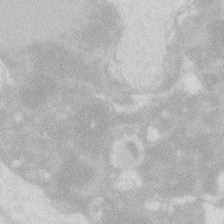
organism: Zebrafish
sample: Macrophage